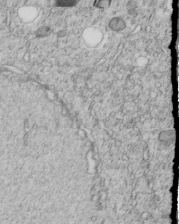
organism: C. elegans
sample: C. elegans embryo early stage